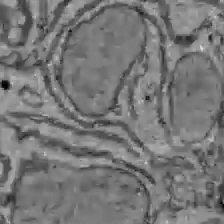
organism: C57BL Mouse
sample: Liver